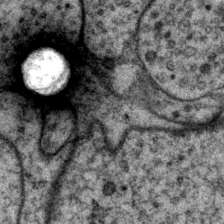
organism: P. pacificus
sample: Pharynx